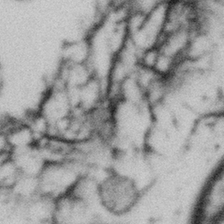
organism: Gemmata obscuriglobus